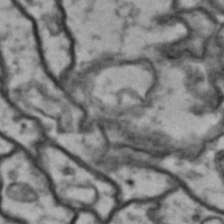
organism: Drosophila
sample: Brain